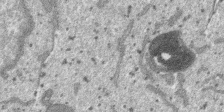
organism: Human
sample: Lung epithelial cells infected with SARS-CoV-2